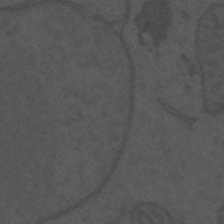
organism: Mouse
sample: Suprachiasmatic nucleus